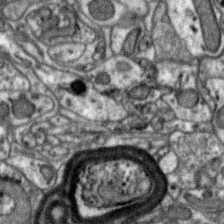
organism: Zebra finch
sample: Brain